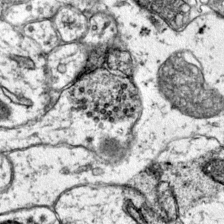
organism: Mouse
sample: Primary visual cortex